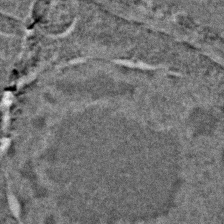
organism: C. elegans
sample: C. elegans embryo